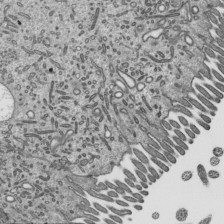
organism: Mouse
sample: Mouse epididymis efferent ductule cilia